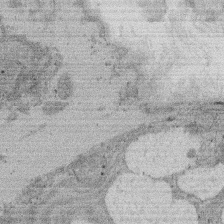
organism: Rat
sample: Salivary granule